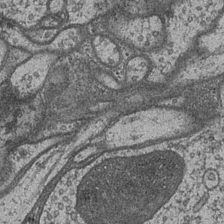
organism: Drosophila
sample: Optic medulla